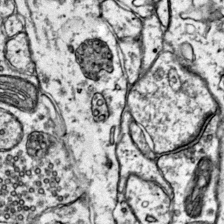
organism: Mouse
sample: Primary visual cortex